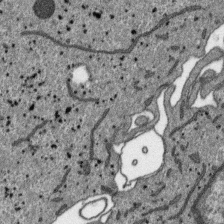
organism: Human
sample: Lung epithelial cells, uninfected (mock) control